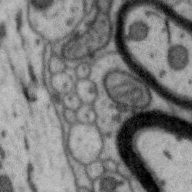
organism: Zebra finch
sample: Brain